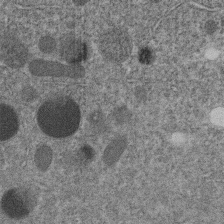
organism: C. elegans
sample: C. elegans embryo early stage